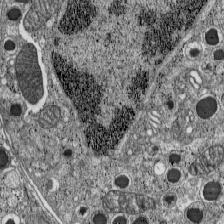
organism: C57BL Mouse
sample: Pancreatic islet